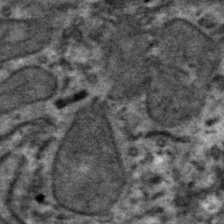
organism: Mouse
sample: Mouse hepatocytes